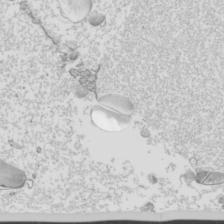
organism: Mouse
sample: Cilia; mouse epididymis